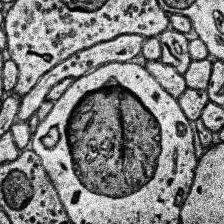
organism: Human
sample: Temporal Lobe